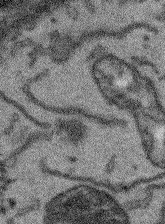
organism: Arabidopsis thaliana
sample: Root tip